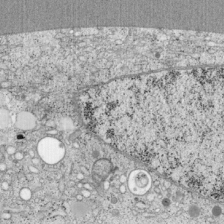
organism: African green monkey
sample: COS-7 cells